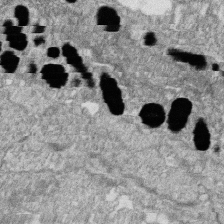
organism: Zebrafish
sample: Cilia; retinal pigment epithelium